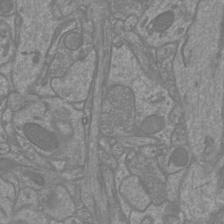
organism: Mouse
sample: Cortical neurons